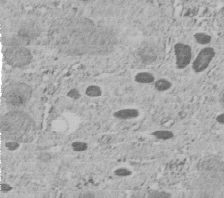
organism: C. elegans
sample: C. elegans embryo early stage